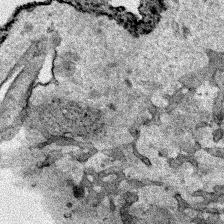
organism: Human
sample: Mitochondria in HCT116 cells